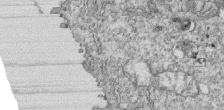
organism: Human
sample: HeLa cell HIV synapse